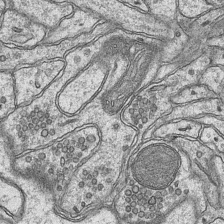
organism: Mouse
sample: CA1 Hippocampus